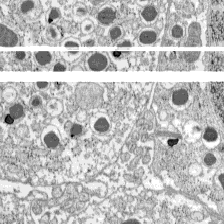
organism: C57BL Mouse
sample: Pancreatic islet